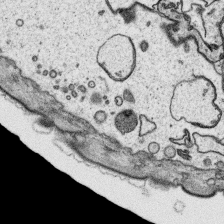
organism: Platynereis dumerilii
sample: Parapodia